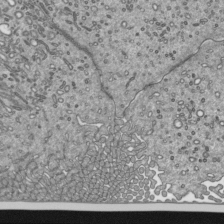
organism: Mouse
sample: Mouse epididymis efferent ductule cilia